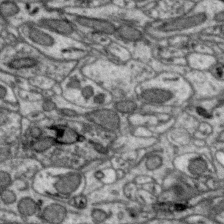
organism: Zebra finch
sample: Brain